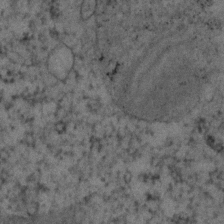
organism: Human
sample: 1205lu cells